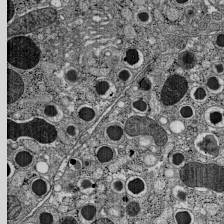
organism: C57BL Mouse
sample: Pancreatic islet